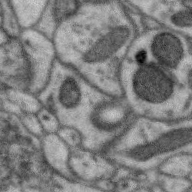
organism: Zebra finch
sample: Brain